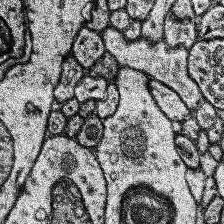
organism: Human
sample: Temporal Lobe